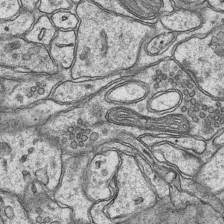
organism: Mouse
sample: CA1 Hippocampus